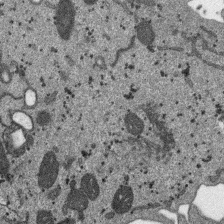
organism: Human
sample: Lung epithelial cells infected with SARS-CoV-2